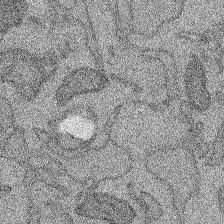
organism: Human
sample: HeLa cells